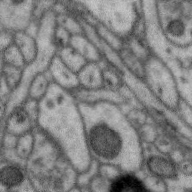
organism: Zebra finch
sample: Brain